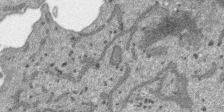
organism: Human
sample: Lung epithelial cells infected with SARS-CoV-2